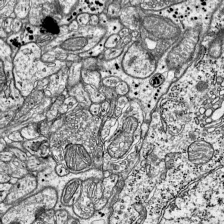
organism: Mouse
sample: Visual Cortex